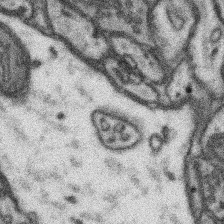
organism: Mouse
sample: Somatosensory cortex neuropil